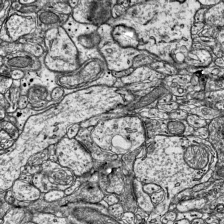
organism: Mouse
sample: Visual Cortex